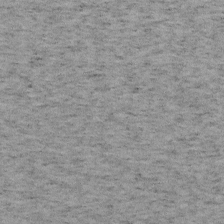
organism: Mouse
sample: OT-I killer T cells with ID8 ovarian cancer cells